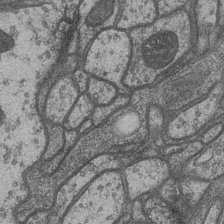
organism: Drosophila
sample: Optic medulla